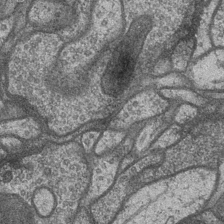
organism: Drosophila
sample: Optic medulla